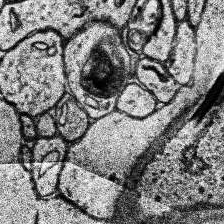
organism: Human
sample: Temporal Lobe